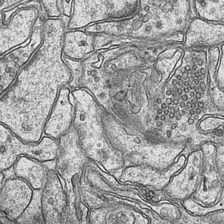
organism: Mouse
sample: CA1 Hippocampus